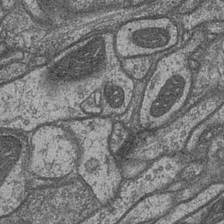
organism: Drosophila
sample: Optic medulla